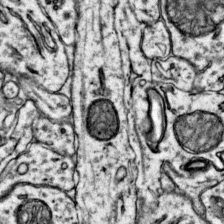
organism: Mouse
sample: Primary visual cortex